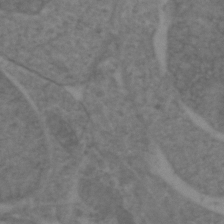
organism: Zebrafish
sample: Zebrafish embryo